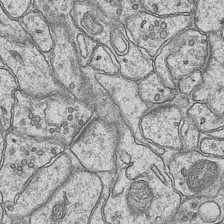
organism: Mouse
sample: CA1 Hippocampus